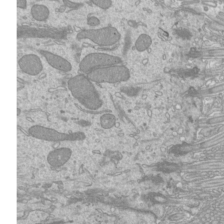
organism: Mouse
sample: Cilia; mouse epididymis